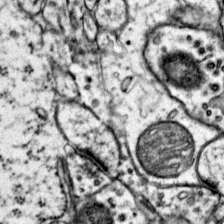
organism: Mouse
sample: Primary visual cortex